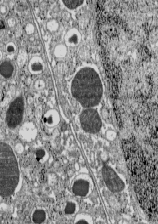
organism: C57BL Mouse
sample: Pancreatic islet